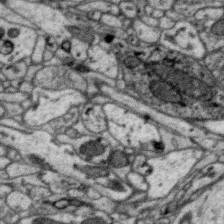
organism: Zebra finch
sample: Brain